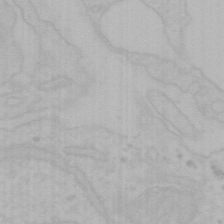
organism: Mouse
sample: Choroid plexus